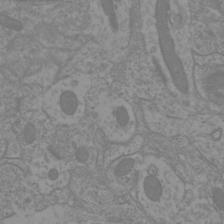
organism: Mouse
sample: Cortical neurons